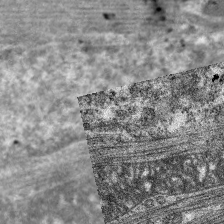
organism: C. elegans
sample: Pharynx